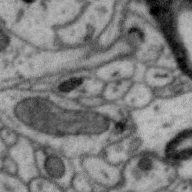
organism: Zebra finch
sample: Brain